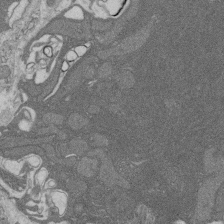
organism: Rat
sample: Salivary granule